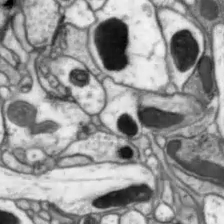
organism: Drosophila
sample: Optic lobe